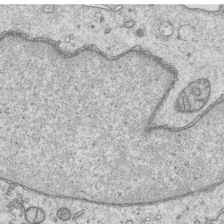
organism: Human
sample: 1205lu cells